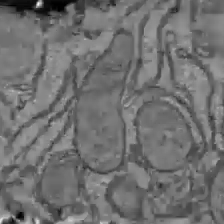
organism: C57BL Mouse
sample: Liver